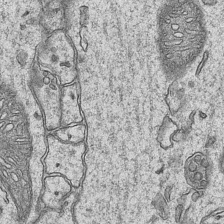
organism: Mouse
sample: CA1 Hippocampus